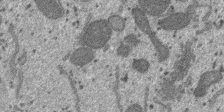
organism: Human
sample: Lung epithelial cells infected with SARS-CoV-2